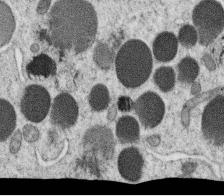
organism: C. elegans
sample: C. elegans oocyte; sperm cells